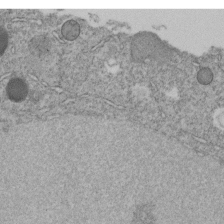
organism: C. elegans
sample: C. elegans embryo early stage